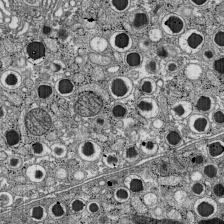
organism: C57BL Mouse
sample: Pancreatic islet